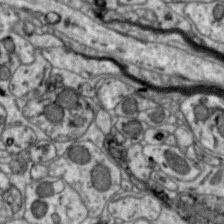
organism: Zebra finch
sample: Brain